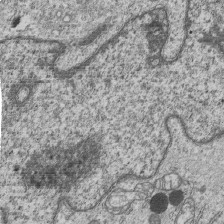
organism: Human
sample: MDA-MB-231 cells